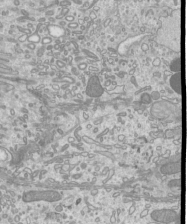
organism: Mouse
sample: Cilia; mouse epididymis